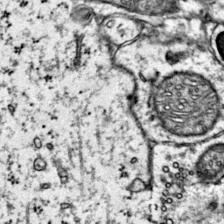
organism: Mouse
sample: Primary visual cortex